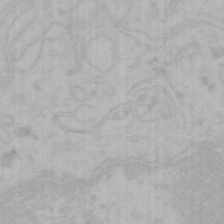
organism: Mouse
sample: Choroid plexus